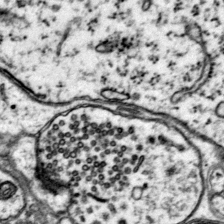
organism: Mouse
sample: Primary visual cortex